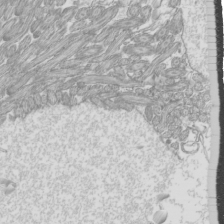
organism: Mouse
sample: Cilia; mouse epididymis